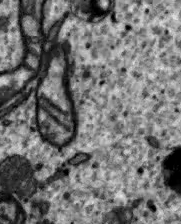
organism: Human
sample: HeLa cells